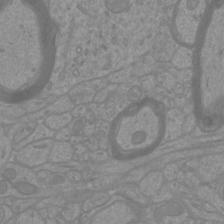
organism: Mouse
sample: Cortical neurons